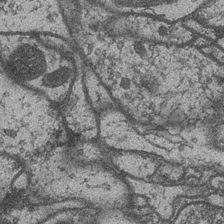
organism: Drosophila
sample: Optic medulla